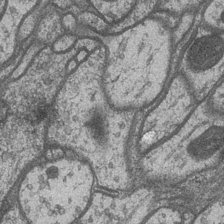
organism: Drosophila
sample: Optic medulla